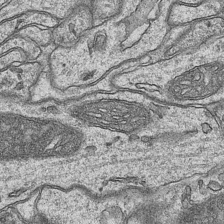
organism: Mouse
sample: CA1 Hippocampus